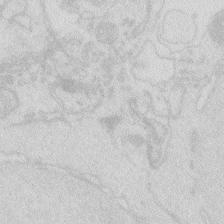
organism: Zebrafish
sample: Macrophage